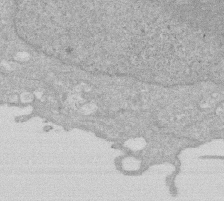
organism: Human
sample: HIV infected U937 cells